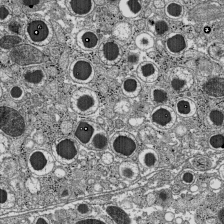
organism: C57BL Mouse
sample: Pancreatic islet